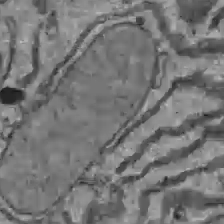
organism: C57BL Mouse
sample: Liver